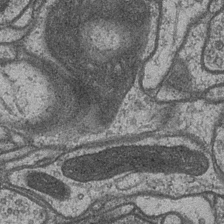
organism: Drosophila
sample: Optic medulla